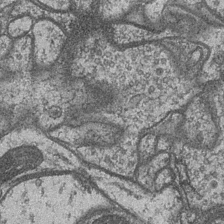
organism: Drosophila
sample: Optic medulla